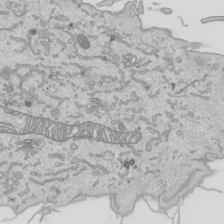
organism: Human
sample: Mitochondria in HCT116 cells